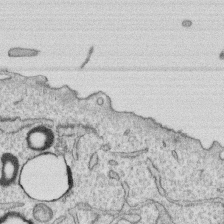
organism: Human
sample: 1205lu cells